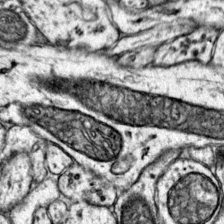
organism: Mouse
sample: Primary visual cortex